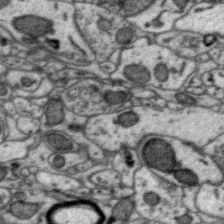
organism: Zebra finch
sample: Brain